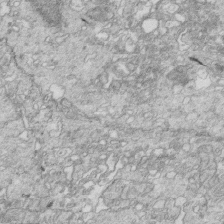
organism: Mouse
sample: Multiciliated cells